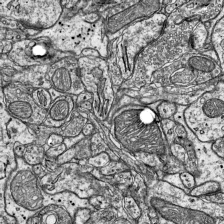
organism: Mouse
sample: Visual Cortex